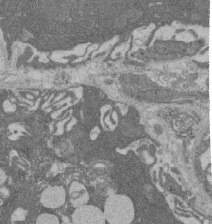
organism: Rat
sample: Salivary granule